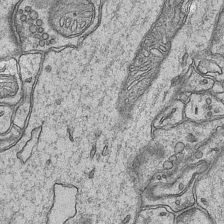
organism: Mouse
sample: CA1 Hippocampus